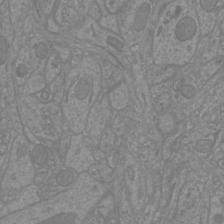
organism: Mouse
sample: Cortical neurons